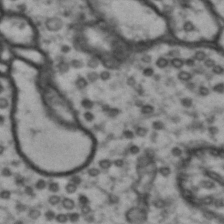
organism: Drosophila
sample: Brain